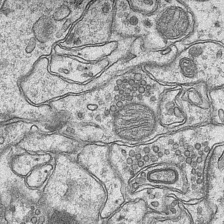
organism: Mouse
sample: CA1 Hippocampus